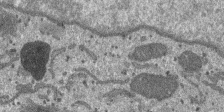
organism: Human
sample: Lung epithelial cells infected with SARS-CoV-2